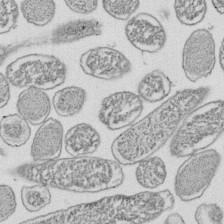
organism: E. coli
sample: Bacterial nucleoid